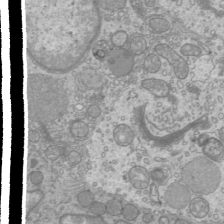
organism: Mouse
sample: Cilia; mouse epididymis